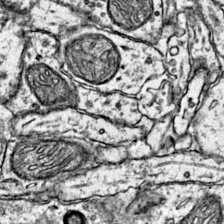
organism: Mouse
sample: Primary visual cortex